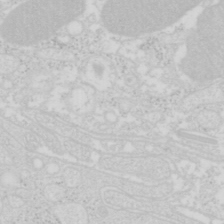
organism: Mouse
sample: Pancreas